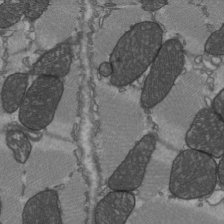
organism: C57BL Mouse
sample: Heart